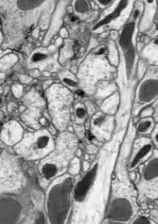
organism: Drosophila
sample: Optic lobe